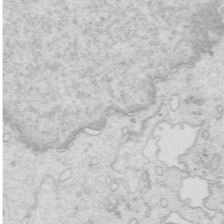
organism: Mouse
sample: Multiciliated cells